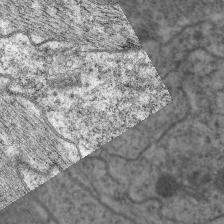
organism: C. elegans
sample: Pharynx